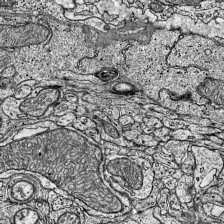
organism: Mouse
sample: Visual Cortex